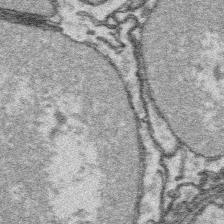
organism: Platynereis dumerilii